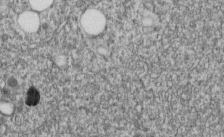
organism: C. elegans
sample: C. elegans embryo early stage